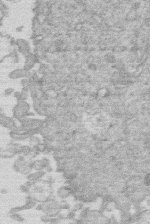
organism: Human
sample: Macrophage cells